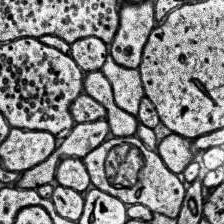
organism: Human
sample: Temporal Lobe